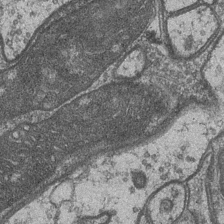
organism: Drosophila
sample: Optic medulla